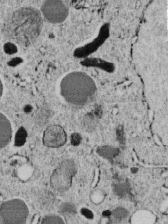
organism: C. elegans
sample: C. elegans embryo early stage